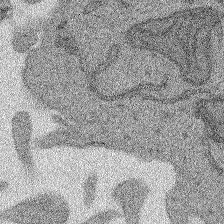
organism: Human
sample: HeLa cells